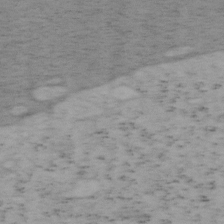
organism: Mouse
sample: OT-I killer T cells with ID8 ovarian cancer cells